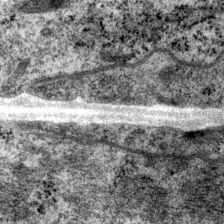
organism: P. pacificus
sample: Pharynx